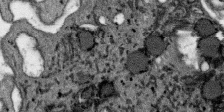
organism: Human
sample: Lung epithelial cells, uninfected (mock) control